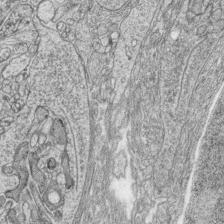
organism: Zebrafish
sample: synaptic ribbons in rod cells and cone cells